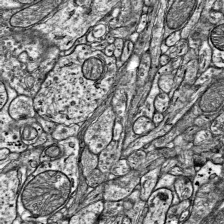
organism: Mouse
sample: Visual Cortex